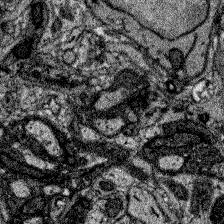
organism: Zebrafish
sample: Larval olfactory bulb